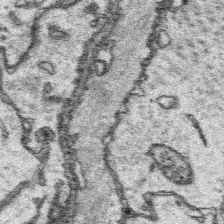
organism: Platynereis dumerilii